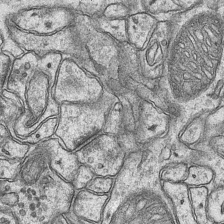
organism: Mouse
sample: CA1 Hippocampus